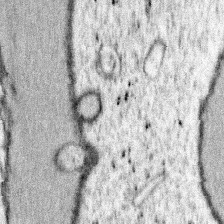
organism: Human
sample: HeLa cells